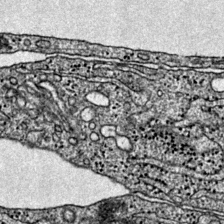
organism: Mouse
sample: Primary visual cortex